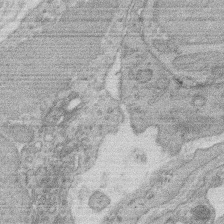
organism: Rat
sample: Salivary granule